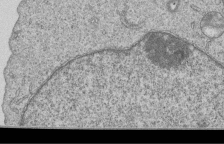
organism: Human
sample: MDA-MB-231 cells